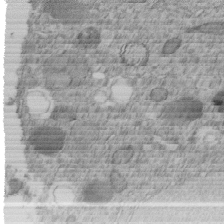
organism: C. elegans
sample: C. elegans embryo early stage